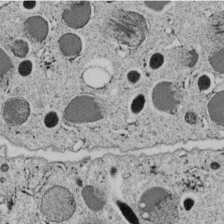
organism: C. elegans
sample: C. elegans embryo early stage